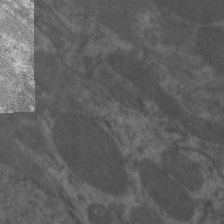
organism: C. elegans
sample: Pharynx